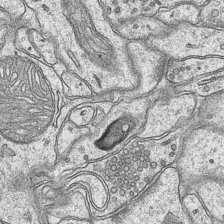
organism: Mouse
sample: CA1 Hippocampus